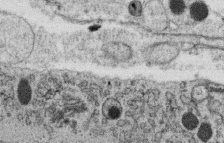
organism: C. elegans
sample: C. elegans oocyte; sperm cells